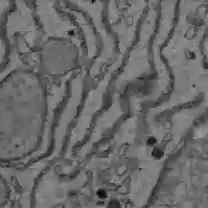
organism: C57BL Mouse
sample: Liver